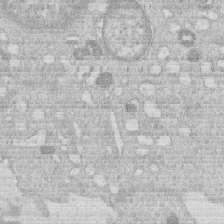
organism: Human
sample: Macrophage cells